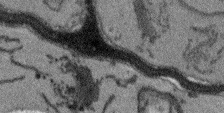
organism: Arabidopsis thaliana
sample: Root tip